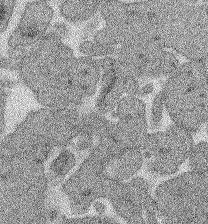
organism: Human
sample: HeLa cells